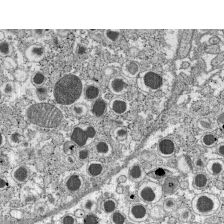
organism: C57BL Mouse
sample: Pancreatic islet